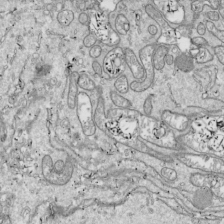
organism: Drosophila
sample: Cell division; meiosis; drosophila spermatocytes